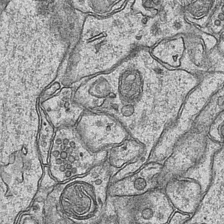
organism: Mouse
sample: CA1 Hippocampus